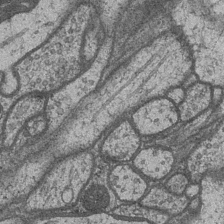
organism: Drosophila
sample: Optic medulla